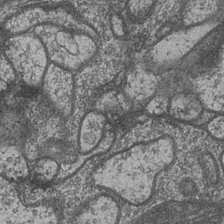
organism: Drosophila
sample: Optic medulla